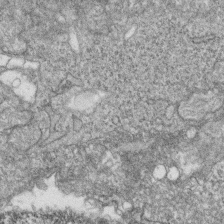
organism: Zebrafish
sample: Cilia; retinal pigment epithelium